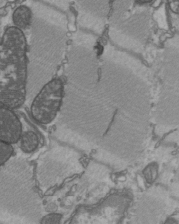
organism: C57BL Mouse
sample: Heart